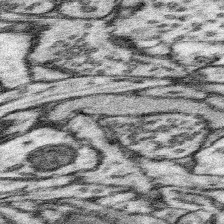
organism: Mouse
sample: Somatosensory cortex neuropil